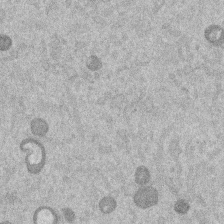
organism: Mouse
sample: Dividing mouse embryo 1 cell stage